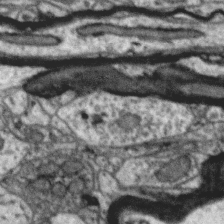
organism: Zebra finch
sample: Brain